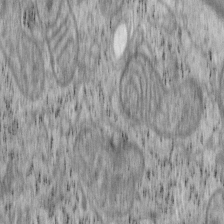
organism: Human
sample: HeLa cells